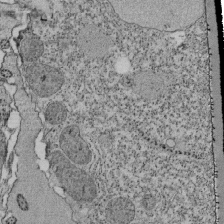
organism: Tetrahymena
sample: Cilia in tetrahymena